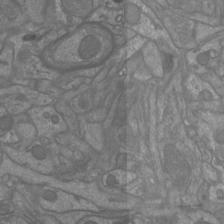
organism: Mouse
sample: Cortical neurons